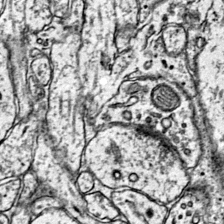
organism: Mouse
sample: Primary visual cortex